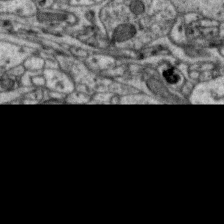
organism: Zebra finch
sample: Brain